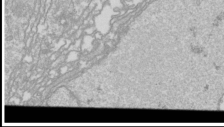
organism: Drosophila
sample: Cell division; meiosis; drosophila spermatocytes